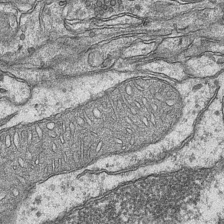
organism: Mouse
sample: CA1 Hippocampus